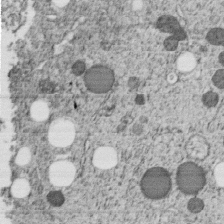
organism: C. elegans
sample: C. elegans embryo early stage